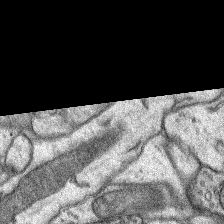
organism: Rat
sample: Hippocampus